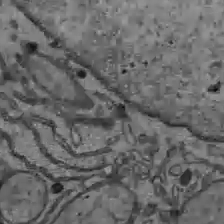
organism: C57BL Mouse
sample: Liver